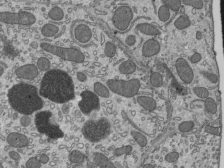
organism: Mouse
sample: Mouse epididymis efferent ductule cilia